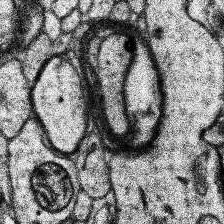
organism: Human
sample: Temporal Lobe